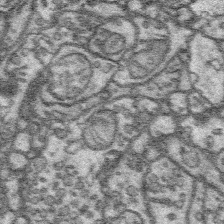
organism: Platynereis dumerilii